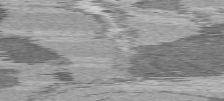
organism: C57BL Mouse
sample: Heart